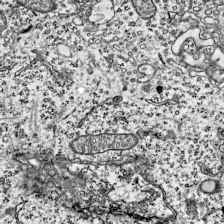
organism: Mouse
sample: Visual Cortex